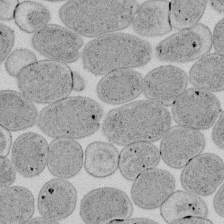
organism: E. coli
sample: Bacterial nucleoid